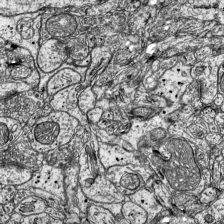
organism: Mouse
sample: Visual Cortex